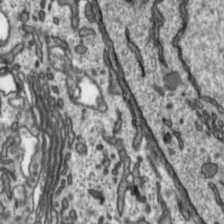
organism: Toxoplasma gondii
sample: Parasites in a vacuole inside a host cell